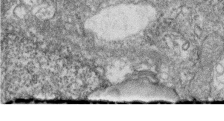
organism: Zebrafish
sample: Cilia; retinal pigment epithelium